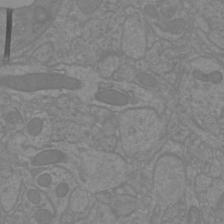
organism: Mouse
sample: Cortical neurons